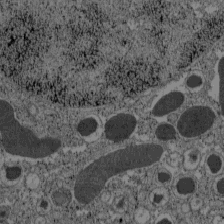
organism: C57BL Mouse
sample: Pancreatic islet